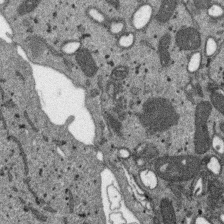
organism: Human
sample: Lung epithelial cells infected with SARS-CoV-2